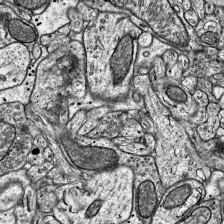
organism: Mouse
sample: Visual Cortex